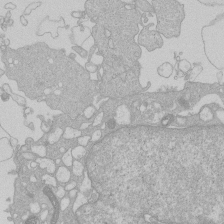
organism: Human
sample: Macrophage cells